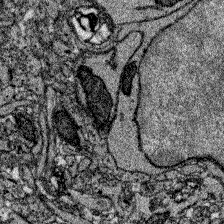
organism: Zebrafish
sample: Larval olfactory bulb